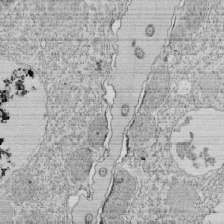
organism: Tetrahymena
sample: Cilia in tetrahymena